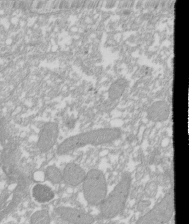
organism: Xenopus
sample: Cilia; centrioles in frog embryo cells